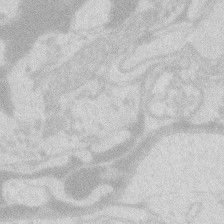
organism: Zebrafish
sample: Macrophage